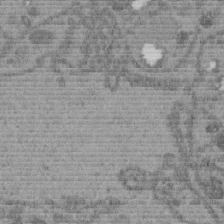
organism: C. elegans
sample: C. elegans embryo early stage